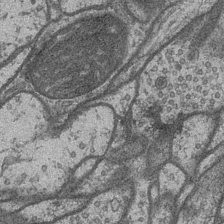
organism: Drosophila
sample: Optic medulla